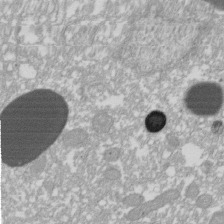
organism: Xenopus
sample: Cilia; centrioles in frog embryo cells